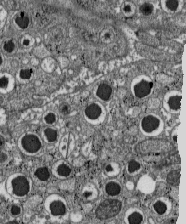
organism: C57BL Mouse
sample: Pancreatic islet